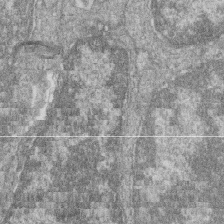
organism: Zebrafish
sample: Cilia; retinal pigment epithelium